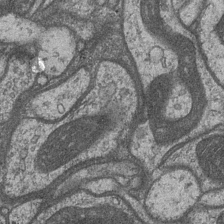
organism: Drosophila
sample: Optic medulla